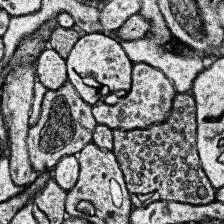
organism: Human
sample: Temporal Lobe